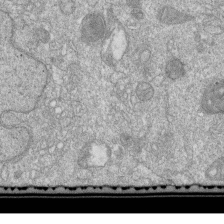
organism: Human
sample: HeLa cell HIV synapse